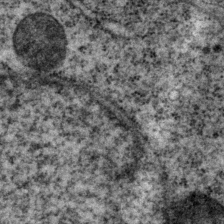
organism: P. pacificus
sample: Pharynx